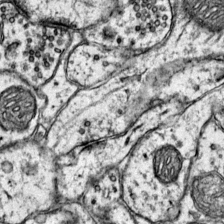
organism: Mouse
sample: Primary visual cortex